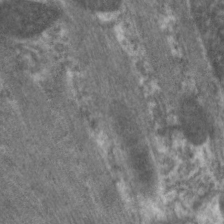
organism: C. elegans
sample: Pharynx